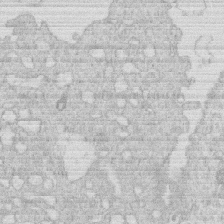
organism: Human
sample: Macrophage cells